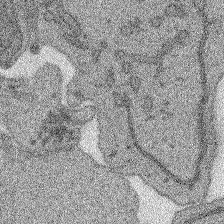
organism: Human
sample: HeLa cells